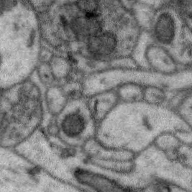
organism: Zebra finch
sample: Brain